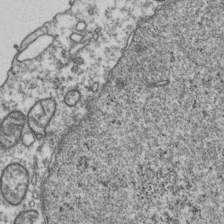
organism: Human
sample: Activated Jurkat CD4+ T cells